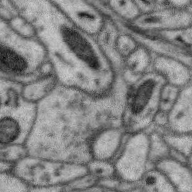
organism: Zebra finch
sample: Brain